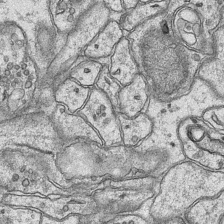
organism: Mouse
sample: CA1 Hippocampus